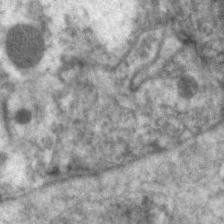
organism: C. elegans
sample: Pharynx